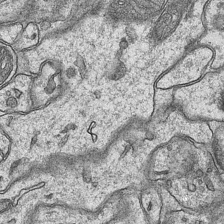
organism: Mouse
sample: CA1 Hippocampus